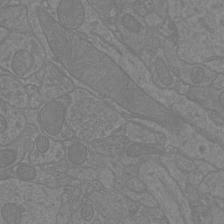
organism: Mouse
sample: Cortical neurons